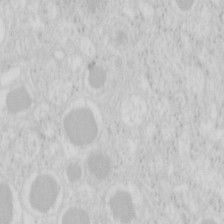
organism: Mouse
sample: Pancreas